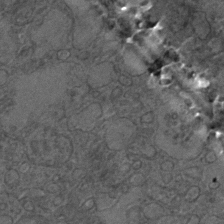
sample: Trachea